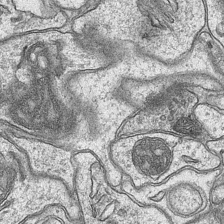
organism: Mouse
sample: CA1 Hippocampus